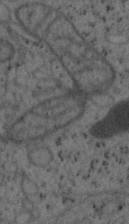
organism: Human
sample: HeLa cells